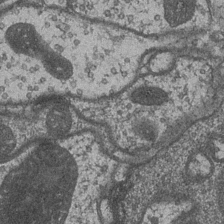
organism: Drosophila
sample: Optic medulla